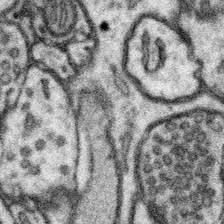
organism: Mouse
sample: Somatosensory cortex neuropil